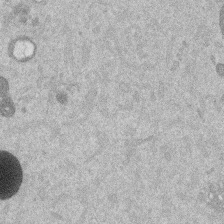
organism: Mouse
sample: Dividing mouse embryo 1 cell stage